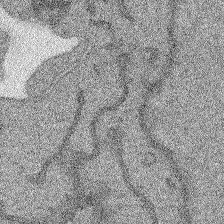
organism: Human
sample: HeLa cells